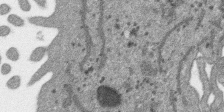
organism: Human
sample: Lung epithelial cells infected with SARS-CoV-2